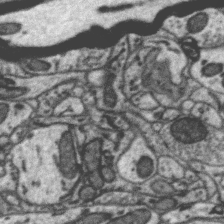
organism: Zebra finch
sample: Brain